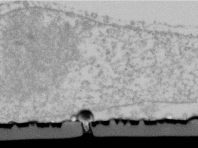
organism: Human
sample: U2-OS cells